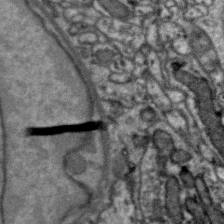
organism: Zebra finch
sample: Brain